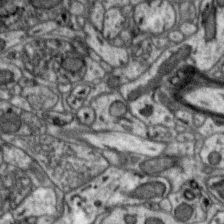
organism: Zebra finch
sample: Brain